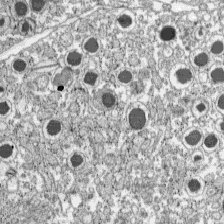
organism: C57BL Mouse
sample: Pancreatic islet